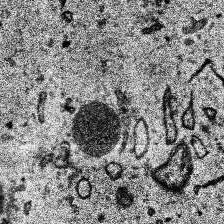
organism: Human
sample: Temporal Lobe